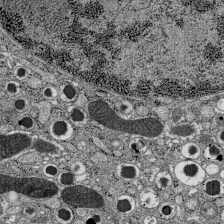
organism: C57BL Mouse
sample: Pancreatic islet